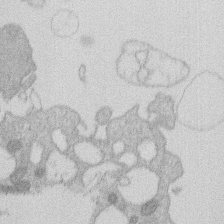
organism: Human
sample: Macrophage cells